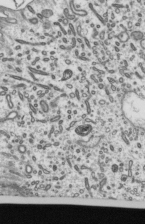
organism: Mouse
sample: Mouse epididymis efferent ductule cilia